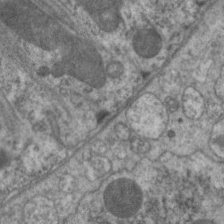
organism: C. elegans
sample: Pharynx